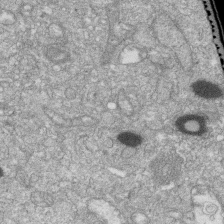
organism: Human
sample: HeLa cell HIV synapse